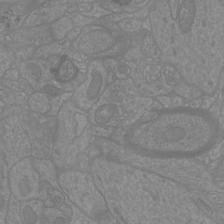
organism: Mouse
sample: Cortical neurons